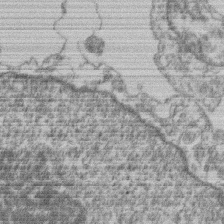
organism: Mouse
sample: T cell stromal cell synapse